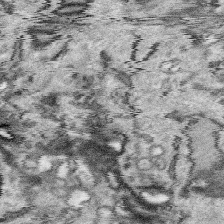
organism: Human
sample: HeLa cells